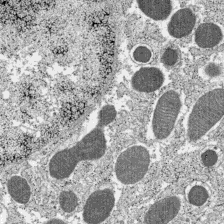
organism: C57BL Mouse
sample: Pancreatic islet